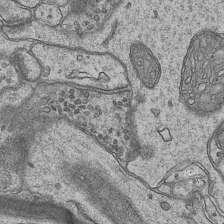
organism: Mouse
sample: CA1 Hippocampus